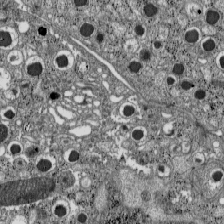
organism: C57BL Mouse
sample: Pancreatic islet